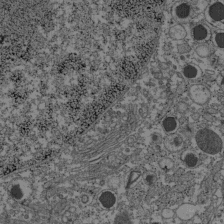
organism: C57BL Mouse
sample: Pancreatic islet